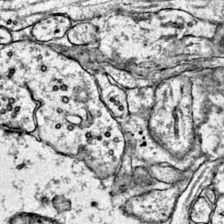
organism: Mouse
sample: Primary visual cortex